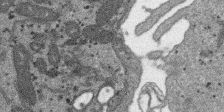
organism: Human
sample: Lung epithelial cells infected with SARS-CoV-2